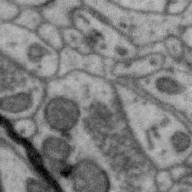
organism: Zebra finch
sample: Brain